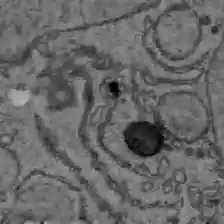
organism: C57BL Mouse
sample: Liver